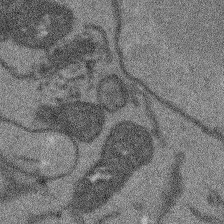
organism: Arabidopsis thaliana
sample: Root tip